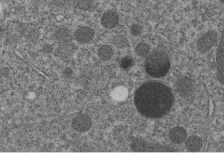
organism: C. elegans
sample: C. elegans embryo early stage